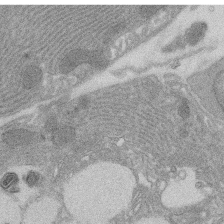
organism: Rat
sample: Salivary granule